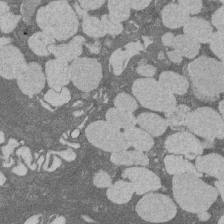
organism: Rat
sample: Salivary granule